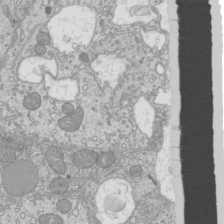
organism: Mouse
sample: Cilia; mouse epididymis